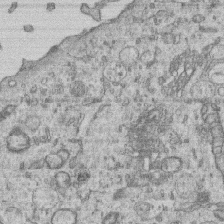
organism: Human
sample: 1205lu cells